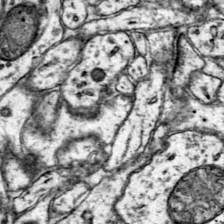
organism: Mouse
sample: Primary visual cortex